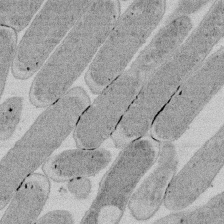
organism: E. coli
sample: Bacterial nucleoid